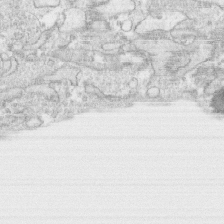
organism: Human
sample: CRL-1474